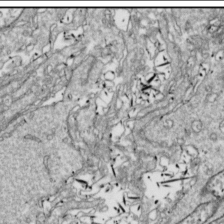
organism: Drosophila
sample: Cell division; meiosis; drosophila spermatocytes